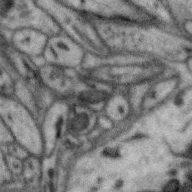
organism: Zebra finch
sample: Brain